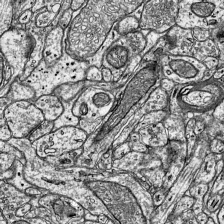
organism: Mouse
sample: Visual Cortex